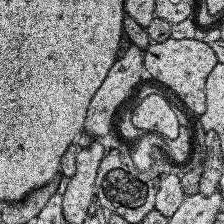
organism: Human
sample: Temporal Lobe